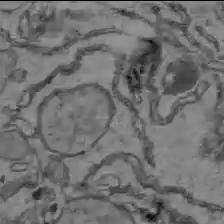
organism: C57BL Mouse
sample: Liver